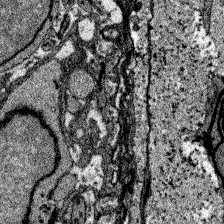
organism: Zebrafish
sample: Larval olfactory bulb